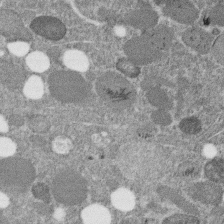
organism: C. elegans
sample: C. elegans embryo early stage